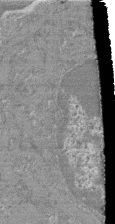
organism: Mouse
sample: Glomerulus